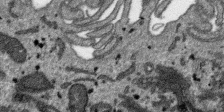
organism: Human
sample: Lung epithelial cells, uninfected (mock) control